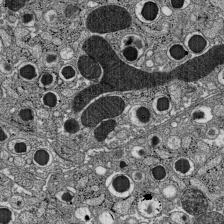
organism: C57BL Mouse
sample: Pancreatic islet